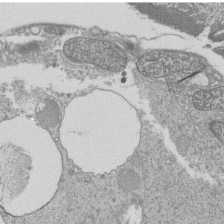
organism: Tetrahymena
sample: Cilia in tetrahymena